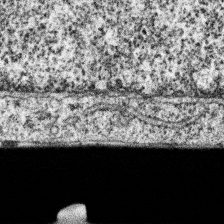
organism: Human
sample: HeLa cells